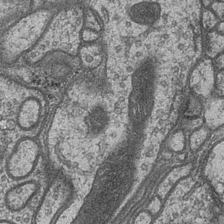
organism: Drosophila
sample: Optic medulla